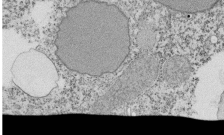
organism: Tetrahymena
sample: Cilia in tetrahymena